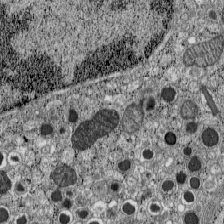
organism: C57BL Mouse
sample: Pancreatic islet